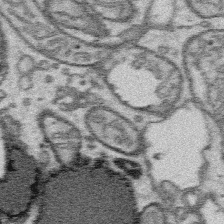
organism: Platynereis dumerilii